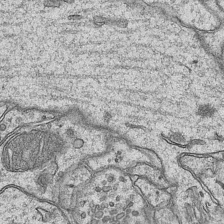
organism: Mouse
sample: CA1 Hippocampus